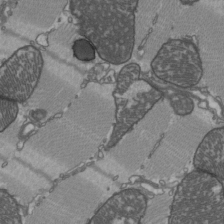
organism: C57BL Mouse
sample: Heart